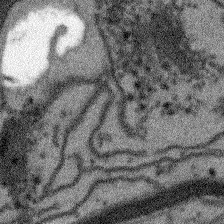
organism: Arabidopsis thaliana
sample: Root tip